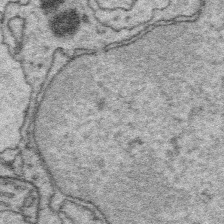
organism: Platynereis dumerilii